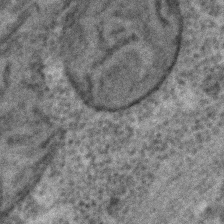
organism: C. elegans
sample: C. elegans embryo